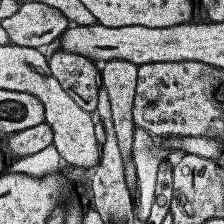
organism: Human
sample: Temporal Lobe